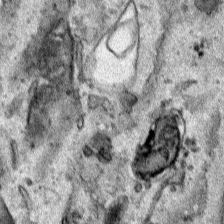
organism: Human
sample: Mitochondria in HCT116 cells